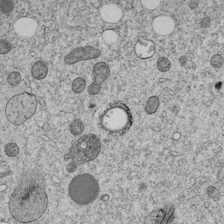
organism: C. elegans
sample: C. elegans embryo early stage